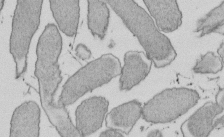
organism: E. coli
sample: Bacterial nucleoid